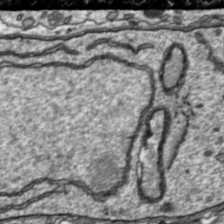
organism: Toxoplasma gondii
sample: Parasites in a vacuole inside a host cell